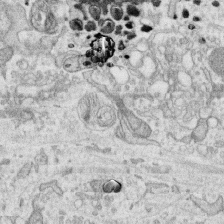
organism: Human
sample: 1205lu cells